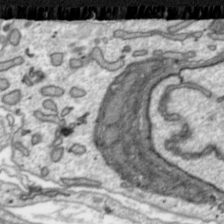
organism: Toxoplasma gondii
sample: Parasites in a vacuole inside a host cell